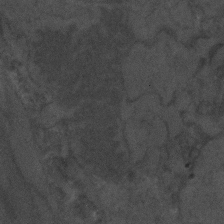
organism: C. elegans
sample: C. elegans embryo